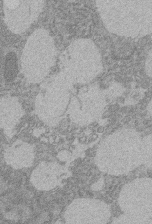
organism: Rat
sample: Salivary granule